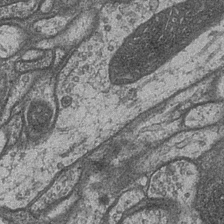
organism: Drosophila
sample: Optic medulla